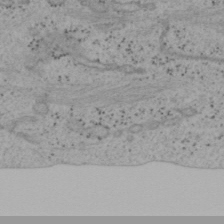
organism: Human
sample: HeLa cells